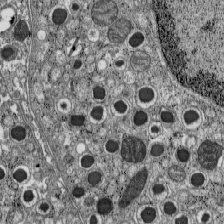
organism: C57BL Mouse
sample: Pancreatic islet